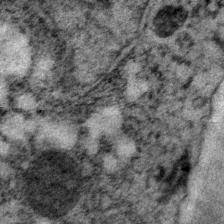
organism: P. pacificus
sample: Pharynx